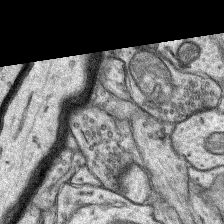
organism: Rat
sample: Hippocampus